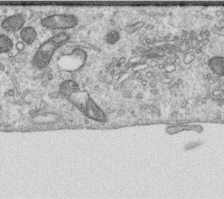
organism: Human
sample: Centriole in RPE cells